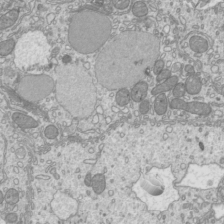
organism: Mouse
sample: Cilia; mouse epididymis